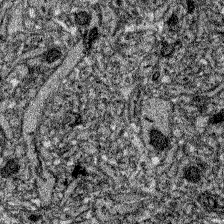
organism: Zebrafish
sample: Larval olfactory bulb